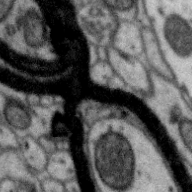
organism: Zebra finch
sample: Brain